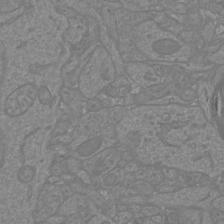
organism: Mouse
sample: Cortical neurons